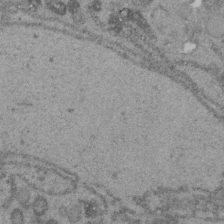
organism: C. elegans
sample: C. elegans embryo early stage